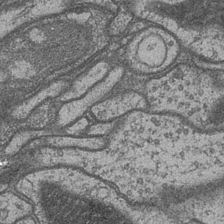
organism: Drosophila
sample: Optic medulla